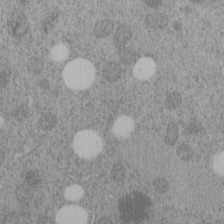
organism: C. elegans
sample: C. elegans embryo early stage